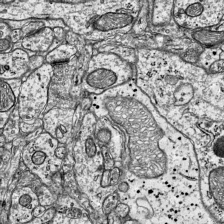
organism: Mouse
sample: Visual Cortex